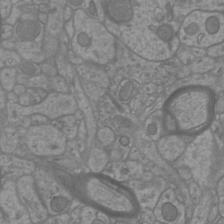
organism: Mouse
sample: Cortical neurons